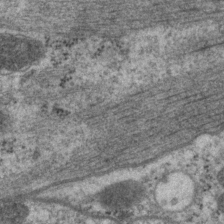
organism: P. pacificus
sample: Pharynx